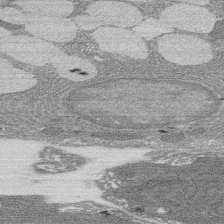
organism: Rat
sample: Salivary granule